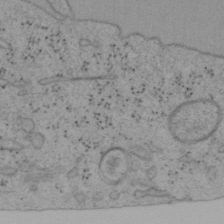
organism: Human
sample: HeLa cells